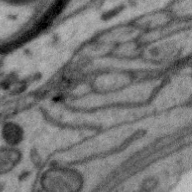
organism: Zebra finch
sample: Brain